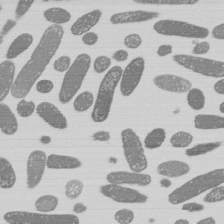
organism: E. coli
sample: Bacterial nucleoid